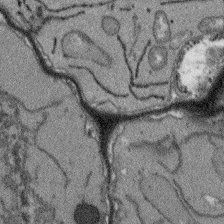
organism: Arabidopsis thaliana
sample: Root tip